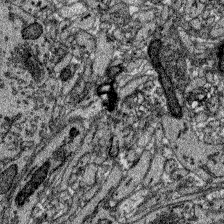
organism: Zebrafish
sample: Larval olfactory bulb